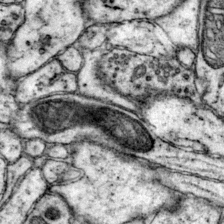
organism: Mouse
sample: Primary visual cortex